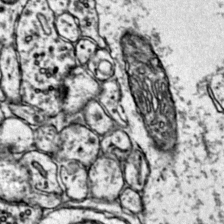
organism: Mouse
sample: Primary visual cortex